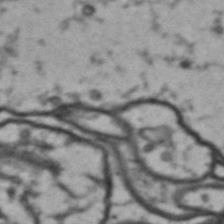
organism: Drosophila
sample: Brain